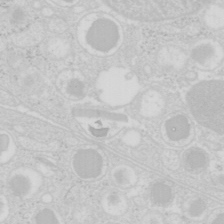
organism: Mouse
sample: Pancreas